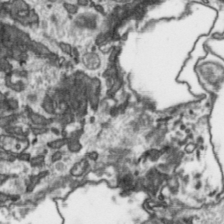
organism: Toxoplasma gondii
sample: Parasites in a vacuole inside a host cell